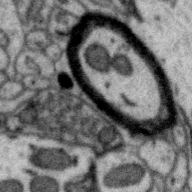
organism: Zebra finch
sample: Brain